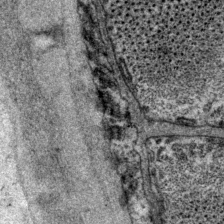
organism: P. pacificus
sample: Pharynx